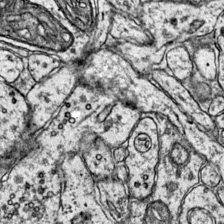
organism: Mouse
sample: Primary visual cortex